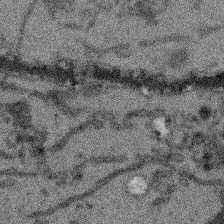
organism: Arabidopsis thaliana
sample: Root tip